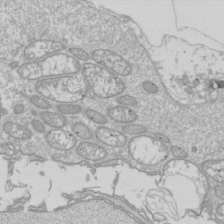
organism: Drosophila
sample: Cell division; meiosis; drosophila spermatocytes